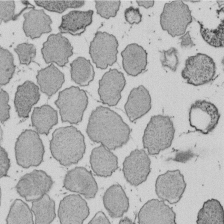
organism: E. coli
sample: Bacterial nucleoid